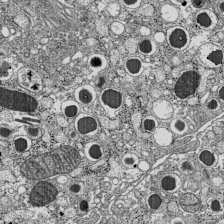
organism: C57BL Mouse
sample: Pancreatic islet